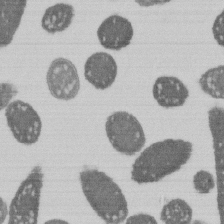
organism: E. coli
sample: Bacterial nucleoid